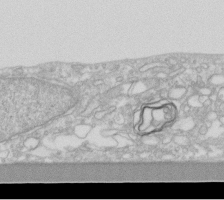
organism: Human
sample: Fibroblast cells